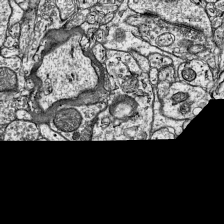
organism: Mouse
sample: Visual Cortex